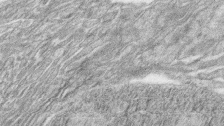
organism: Zebrafish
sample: synaptic ribbons in rod cells and cone cells